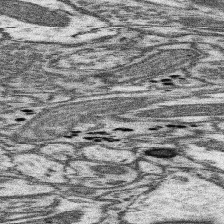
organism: Mouse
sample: Somatosensory cortex neuropil